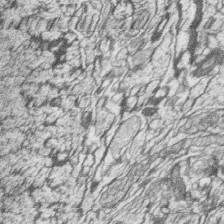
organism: Zebrafish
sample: synaptic ribbons in rod cells and cone cells